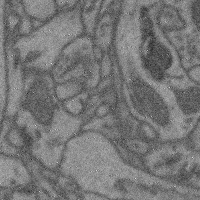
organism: Mouse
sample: Cerebral cortex